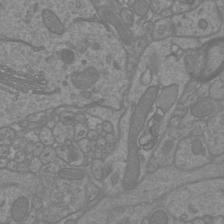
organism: Mouse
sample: Cortical neurons